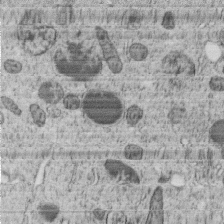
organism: C. elegans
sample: C. elegans embryo early stage